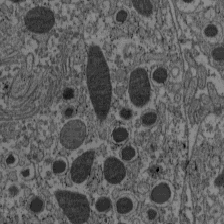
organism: C57BL Mouse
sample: Pancreatic islet